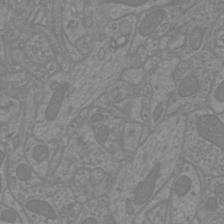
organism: Mouse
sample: Cortical neurons